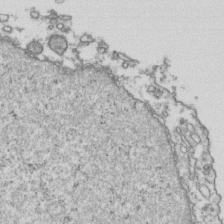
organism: Human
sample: Activated Jurkat CD4+ T cells